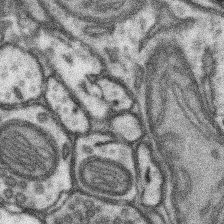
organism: Mouse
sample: Somatosensory cortex neuropil